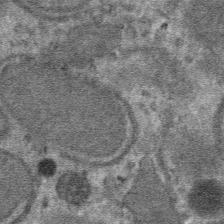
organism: Mouse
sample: Mouse hepatocytes